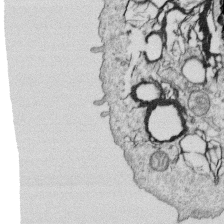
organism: Human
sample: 1205lu cells